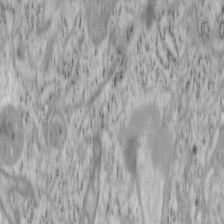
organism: Human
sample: HeLa cells